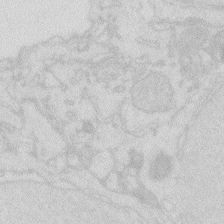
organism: Zebrafish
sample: Macrophage